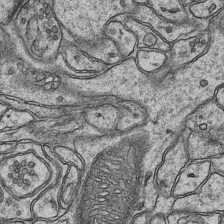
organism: Mouse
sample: CA1 Hippocampus